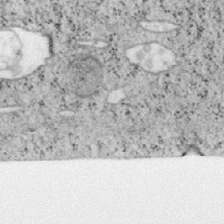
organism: Mouse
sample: OT-I killer T cells with ID8 ovarian cancer cells